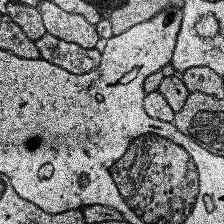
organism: Human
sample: Temporal Lobe